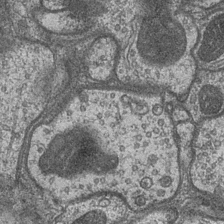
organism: Drosophila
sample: Optic medulla